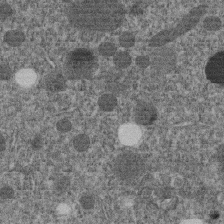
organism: C. elegans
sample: C. elegans embryo early stage